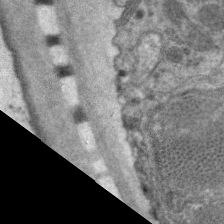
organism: C. elegans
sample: Pharynx